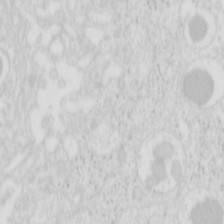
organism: Mouse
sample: Pancreas